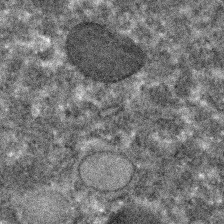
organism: C. elegans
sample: C. elegans embryo